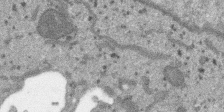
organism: Human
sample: Lung epithelial cells infected with SARS-CoV-2